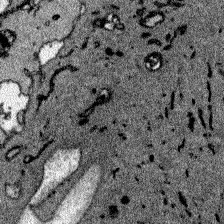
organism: Zebrafish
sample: Larval olfactory bulb